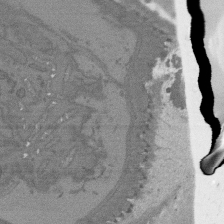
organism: C. elegans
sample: AFD neurons C. elegans